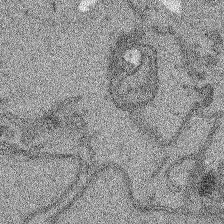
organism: Human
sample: HeLa cells